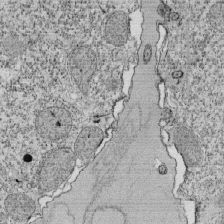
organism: Tetrahymena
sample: Cilia in tetrahymena